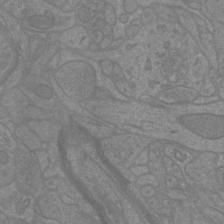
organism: Mouse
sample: Cortical neurons